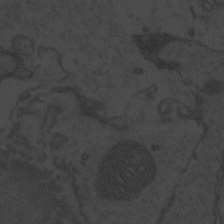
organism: Zebrafish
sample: Macrophage infected with Toxoplasma gondii